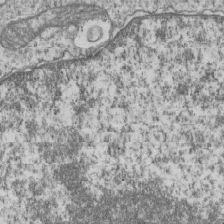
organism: Human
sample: MDA-MB-231 cells